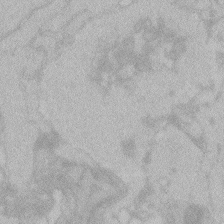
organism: Zebrafish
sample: Macrophage infected with Toxoplasma gondii